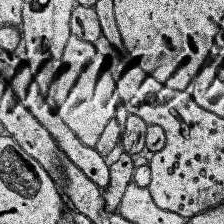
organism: Human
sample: Temporal Lobe